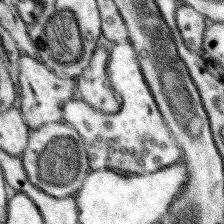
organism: Mouse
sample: Somatosensory cortex neuropil